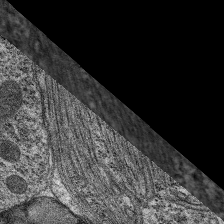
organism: C. elegans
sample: Pharynx